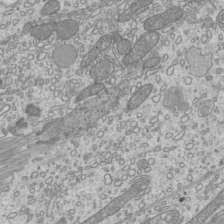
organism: Mouse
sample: Cilia; mouse epididymis